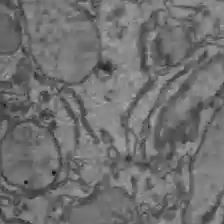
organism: C57BL Mouse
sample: Liver